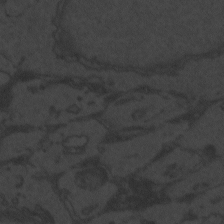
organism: Zebrafish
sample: Macrophage infected with Toxoplasma gondii